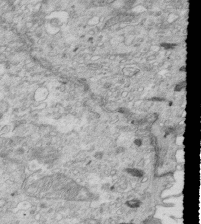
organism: Mouse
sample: Multiciliated cells